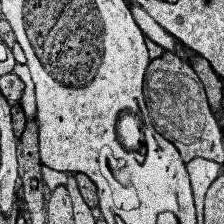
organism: Human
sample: Temporal Lobe